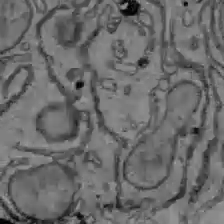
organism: C57BL Mouse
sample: Liver